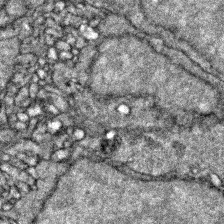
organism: Zebrafish